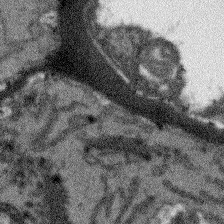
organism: Arabidopsis thaliana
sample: Root tip